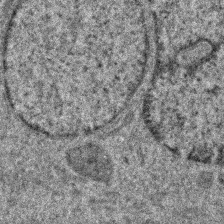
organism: Human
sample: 1205lu cells